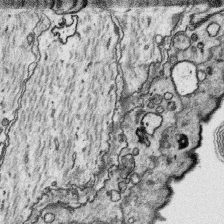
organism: Platynereis dumerilii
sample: Parapodia